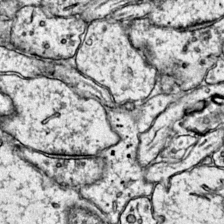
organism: Mouse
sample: Primary visual cortex